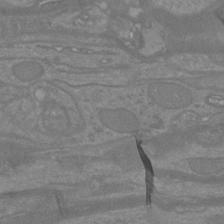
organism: Mouse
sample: Cortical neurons